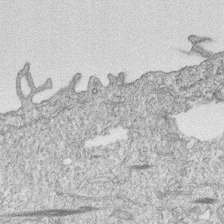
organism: Human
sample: HeLa cell HIV synapse